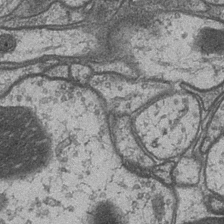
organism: Drosophila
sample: Optic medulla